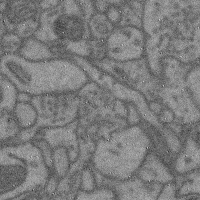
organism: Mouse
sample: Cerebral cortex